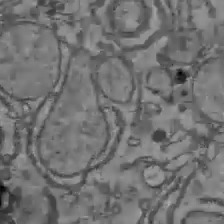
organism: C57BL Mouse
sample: Liver